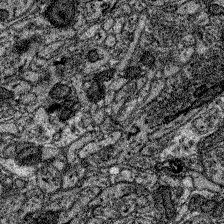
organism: Zebrafish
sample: Larval olfactory bulb